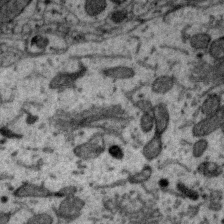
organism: Zebra finch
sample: Brain